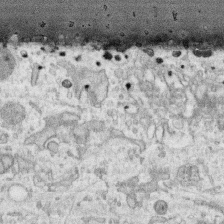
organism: Human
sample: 1205lu cells